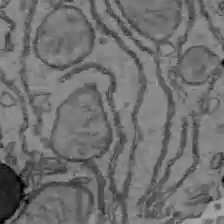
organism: C57BL Mouse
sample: Liver